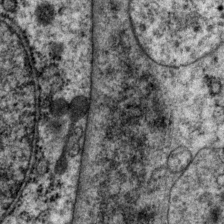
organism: P. pacificus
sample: Pharynx